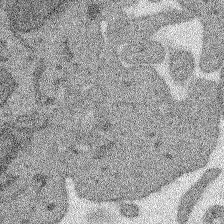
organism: Human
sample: HeLa cells